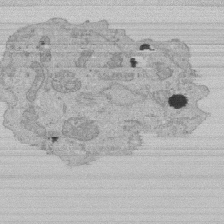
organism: Human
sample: Activated Jurkat CD4+ T cells